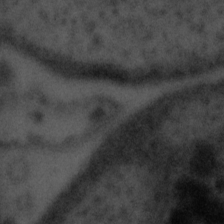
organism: Tuwongella immobilis